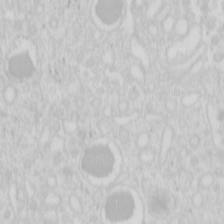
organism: Mouse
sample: Pancreas